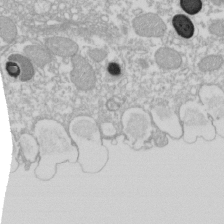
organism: Xenopus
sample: Cilia; centrioles in frog embryo cells